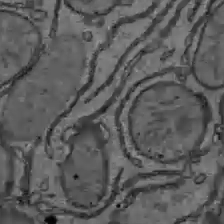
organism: C57BL Mouse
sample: Liver